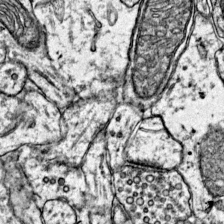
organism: Mouse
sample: Primary visual cortex